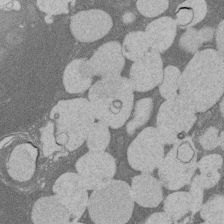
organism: Rat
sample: Salivary granule